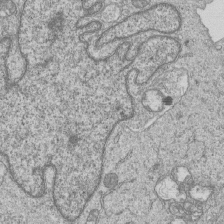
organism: Human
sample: MDA-MB-231 cells